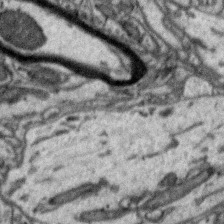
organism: Zebra finch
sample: Brain